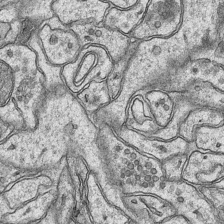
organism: Mouse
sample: CA1 Hippocampus